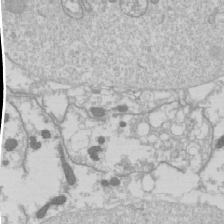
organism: Drosophila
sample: Cell division; meiosis; drosophila spermatocytes